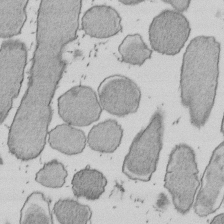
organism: E. coli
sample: Bacterial nucleoid